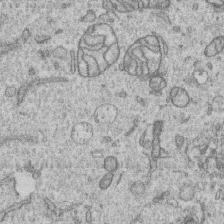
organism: Human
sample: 1205lu cells